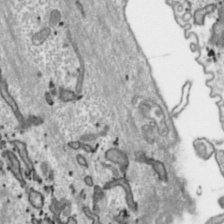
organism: Toxoplasma gondii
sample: Parasites in a vacuole inside a host cell